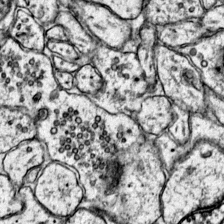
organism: Mouse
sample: Primary visual cortex